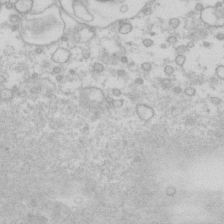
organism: Human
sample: Fibroblast cells